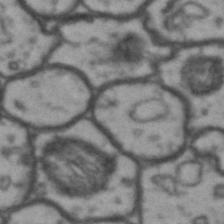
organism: Drosophila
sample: Brain